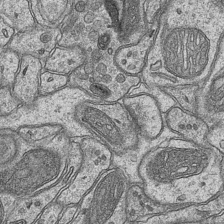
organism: Mouse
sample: CA1 Hippocampus